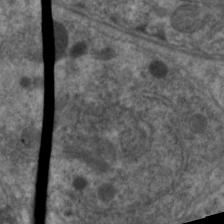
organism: C. elegans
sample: Pharynx